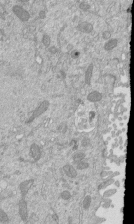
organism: Mouse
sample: ED-1 cell nuclei; centrioles